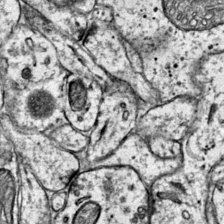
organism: Mouse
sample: Primary visual cortex